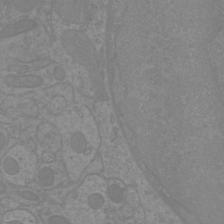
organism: Mouse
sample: Cortical neurons